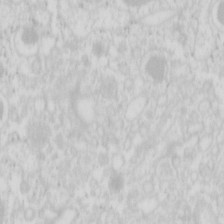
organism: Mouse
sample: Pancreas